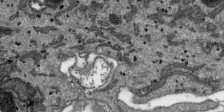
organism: Human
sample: Lung epithelial cells, uninfected (mock) control